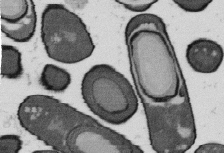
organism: B. subtilis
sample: Bacterial spore